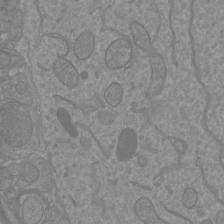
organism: Mouse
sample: Cortical neurons